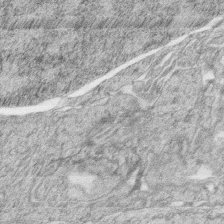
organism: Zebrafish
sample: synaptic ribbons in rod cells and cone cells